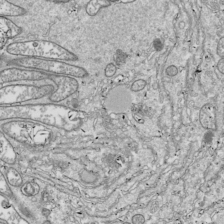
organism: Drosophila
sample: Cell division; meiosis; drosophila spermatocytes